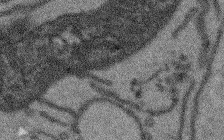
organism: Arabidopsis thaliana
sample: Root tip